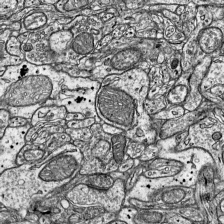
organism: Mouse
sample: Visual Cortex